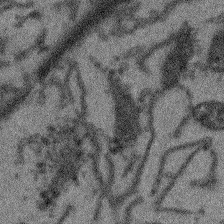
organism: Arabidopsis thaliana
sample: Root tip